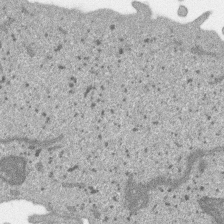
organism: Human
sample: Lung epithelial cells infected with SARS-CoV-2